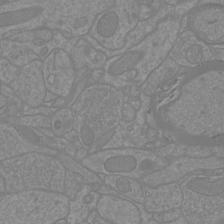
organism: Mouse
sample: Cortical neurons